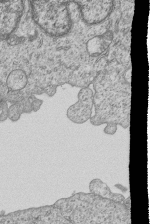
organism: Human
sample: MDA-MB-231 cells